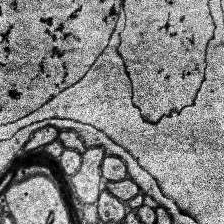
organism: Human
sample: Temporal Lobe